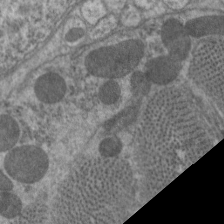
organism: C. elegans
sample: Pharynx